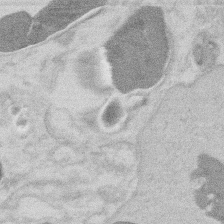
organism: Mouse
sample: T cell stromal cell synapse